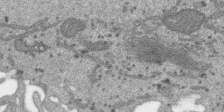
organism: Human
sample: Lung epithelial cells infected with SARS-CoV-2